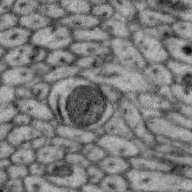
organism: Zebra finch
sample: Brain